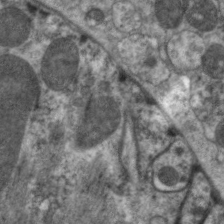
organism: C. elegans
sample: Pharynx